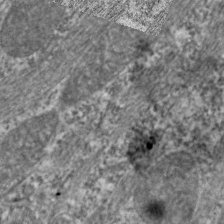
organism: C. elegans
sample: Pharynx